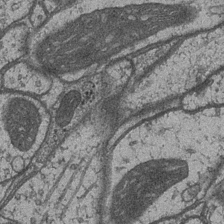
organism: Drosophila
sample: Optic medulla